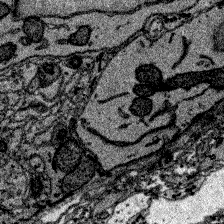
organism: Zebrafish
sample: Larval olfactory bulb